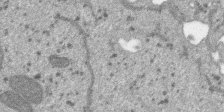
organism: Human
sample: Lung epithelial cells infected with SARS-CoV-2